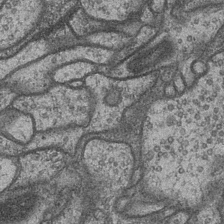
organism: Drosophila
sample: Optic medulla